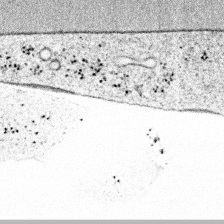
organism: Human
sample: HeLa cells